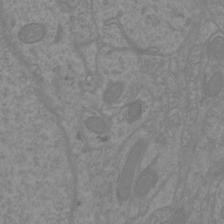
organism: Mouse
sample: Cortical neurons